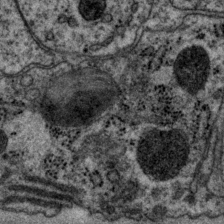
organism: P. pacificus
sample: Pharynx